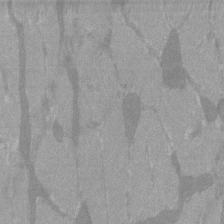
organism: C57BL Mouse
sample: Tibialis anterior muscle cell